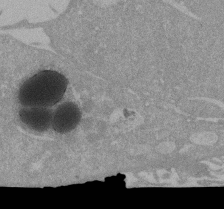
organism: Mouse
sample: ED-1 cell nuclei; centrioles